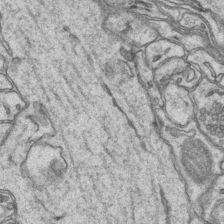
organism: Mouse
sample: CA1 Hippocampus